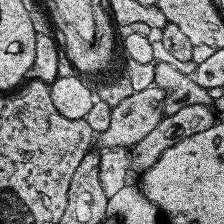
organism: Human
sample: Temporal Lobe